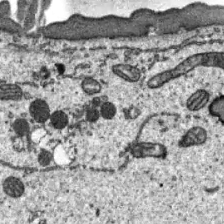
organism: Human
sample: HeLa cells